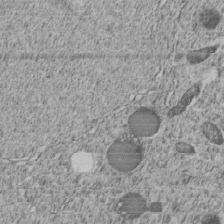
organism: C. elegans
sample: C. elegans embryo early stage